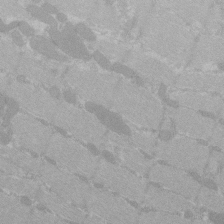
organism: C57BL Mouse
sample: Tibialis anterior muscle cell